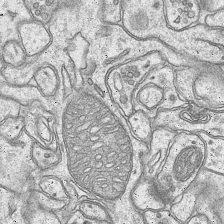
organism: Mouse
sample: CA1 Hippocampus